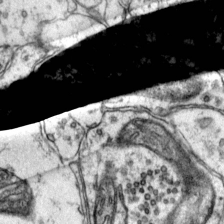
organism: Mouse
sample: Primary visual cortex